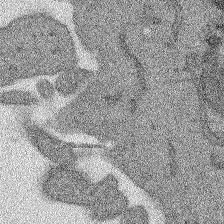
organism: Human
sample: HeLa cells